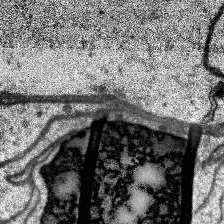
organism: Human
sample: Temporal Lobe